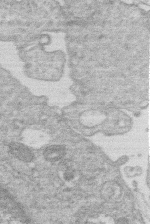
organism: Human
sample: Macrophage cells